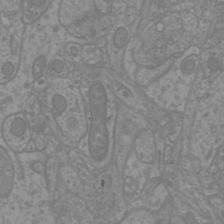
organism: Mouse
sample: Cortical neurons